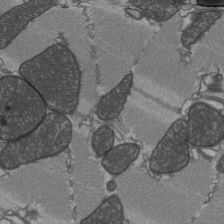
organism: C57BL Mouse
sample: Heart